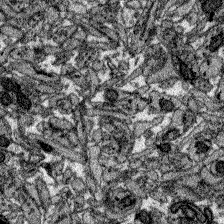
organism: Zebrafish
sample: Larval olfactory bulb